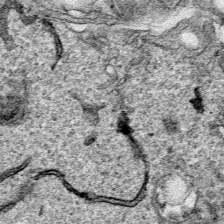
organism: Human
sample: Mitochondria in HCT116 cells